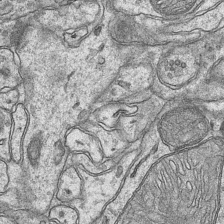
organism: Mouse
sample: CA1 Hippocampus